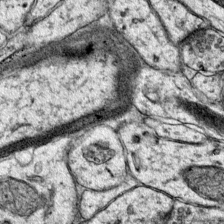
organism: Mouse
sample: Primary visual cortex